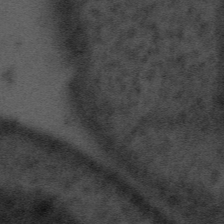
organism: Tuwongella immobilis